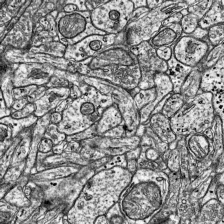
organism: Mouse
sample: Visual Cortex